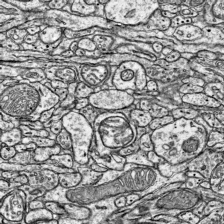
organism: Mouse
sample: Visual Cortex